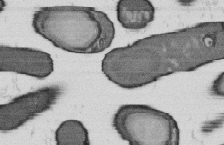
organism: B. subtilis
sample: Bacterial spore